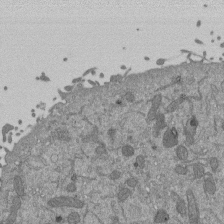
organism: Mouse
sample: ED-1 cell nuclei; centrioles